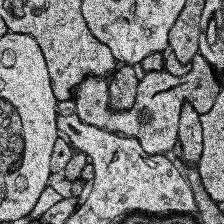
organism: Human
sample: Temporal Lobe